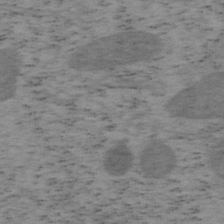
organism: Mouse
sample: OT-I killer T cells with ID8 ovarian cancer cells